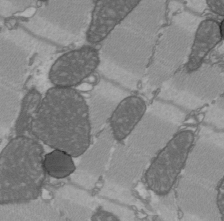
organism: C57BL Mouse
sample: Heart